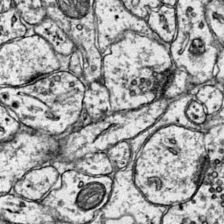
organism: Mouse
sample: Primary visual cortex